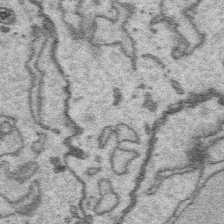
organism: Platynereis dumerilii